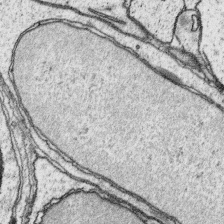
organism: Platynereis dumerilii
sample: Parapodia